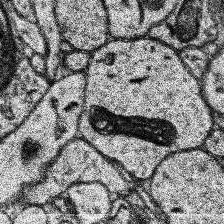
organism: Human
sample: Temporal Lobe